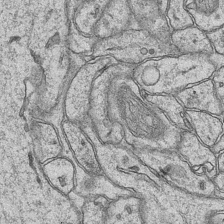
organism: Mouse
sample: CA1 Hippocampus